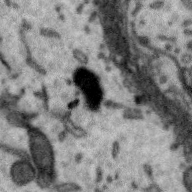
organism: Zebra finch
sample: Brain